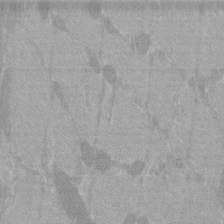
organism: C57BL Mouse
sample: Tibialis anterior muscle cell